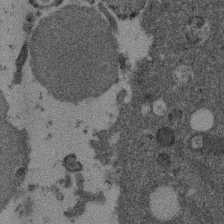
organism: Mouse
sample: Dividing mouse embryo 1 cell stage